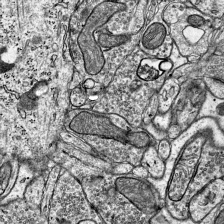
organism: Mouse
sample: Visual Cortex